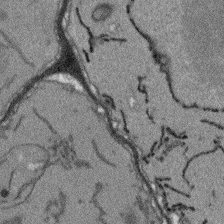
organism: Arabidopsis thaliana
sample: Root tip